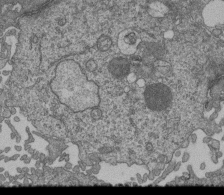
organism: Human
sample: Retinal organoid Rod and Cone cells